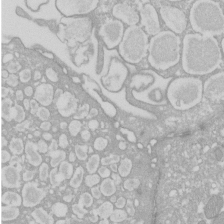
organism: Xenopus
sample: Cilia; centrioles in frog embryo cells